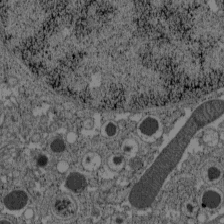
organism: C57BL Mouse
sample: Pancreatic islet